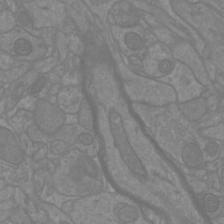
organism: Mouse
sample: Cortical neurons